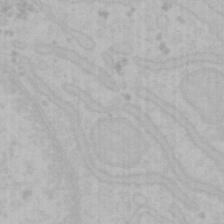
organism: Mouse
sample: Choroid plexus